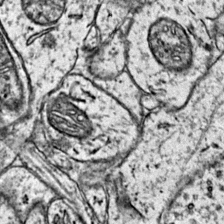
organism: Mouse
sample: Primary visual cortex